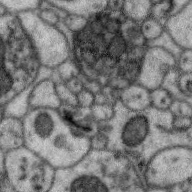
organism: Zebra finch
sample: Brain